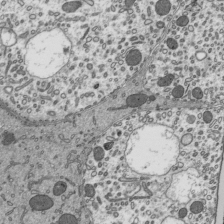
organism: Mouse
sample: Mouse epididymis efferent ductule cilia